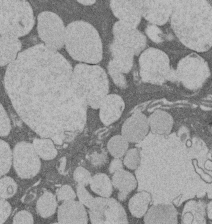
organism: Rat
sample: Salivary granule